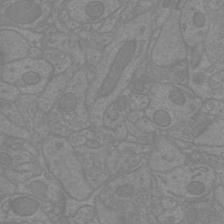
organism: Mouse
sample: Cortical neurons